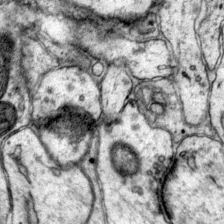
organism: Mouse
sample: Primary visual cortex